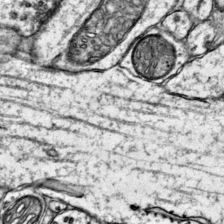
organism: Mouse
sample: Primary visual cortex